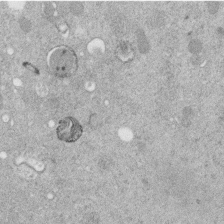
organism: C. elegans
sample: C. elegans embryo early stage